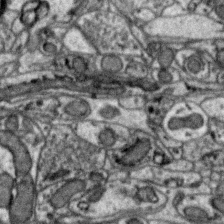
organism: Zebra finch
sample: Brain